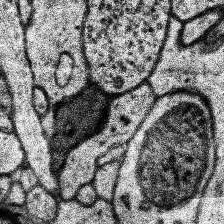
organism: Human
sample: Temporal Lobe